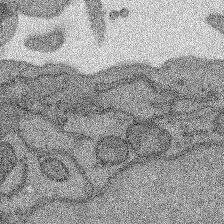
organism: Human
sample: HeLa cells